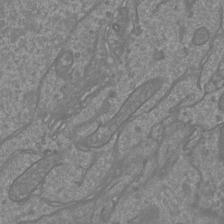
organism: Mouse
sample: Cortical neurons